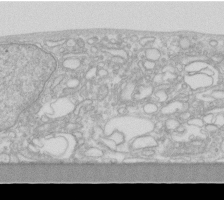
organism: Human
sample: Fibroblast cells